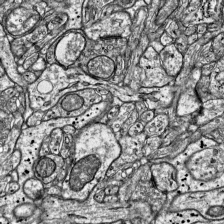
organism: Mouse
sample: Visual Cortex